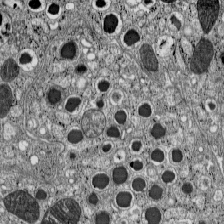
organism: C57BL Mouse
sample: Pancreatic islet